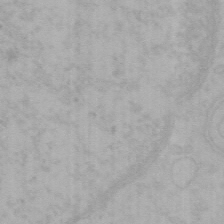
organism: Mouse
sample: Choroid plexus